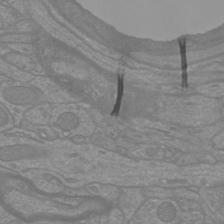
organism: Mouse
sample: Cortical neurons